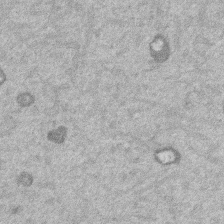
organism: Mouse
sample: Dividing mouse embryo 1 cell stage